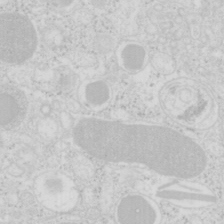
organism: Mouse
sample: Pancreas